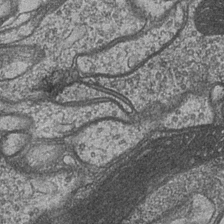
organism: Drosophila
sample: Optic medulla